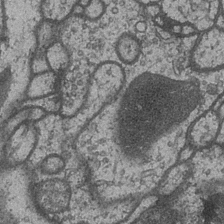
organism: Drosophila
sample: Optic medulla